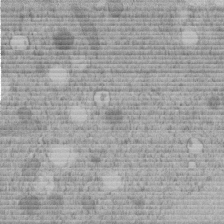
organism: C. elegans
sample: C. elegans embryo early stage